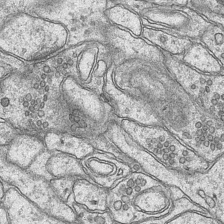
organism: Mouse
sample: CA1 Hippocampus